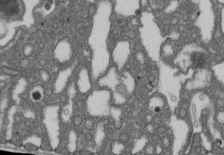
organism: Drosophila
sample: Nephrocyte